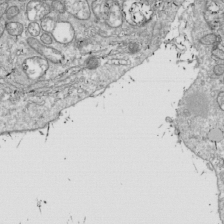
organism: Drosophila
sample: Cell division; meiosis; drosophila spermatocytes